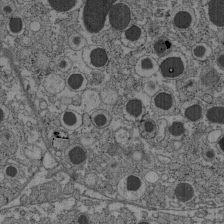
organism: C57BL Mouse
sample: Pancreatic islet